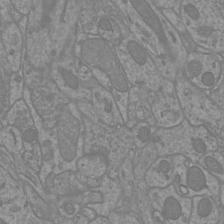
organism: Mouse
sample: Cortical neurons